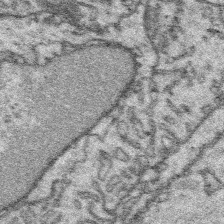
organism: Platynereis dumerilii